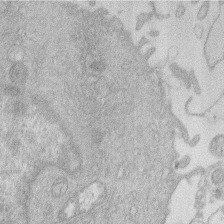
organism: Human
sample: Macrophage cells